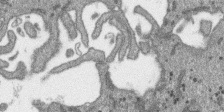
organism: Human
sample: Lung epithelial cells infected with SARS-CoV-2